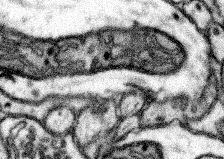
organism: Mouse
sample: Somatosensory cortex neuropil